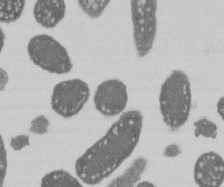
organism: E. coli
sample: Bacterial nucleoid